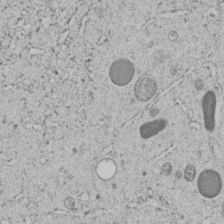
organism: C. elegans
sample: C. elegans embryo early stage